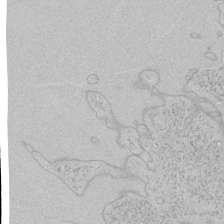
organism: Human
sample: Mitochondria in HCT116 cells